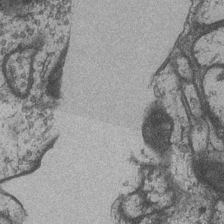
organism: Drosophila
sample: Optic medulla